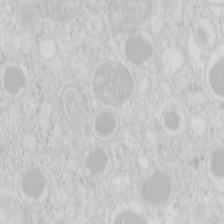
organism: Mouse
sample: Pancreas